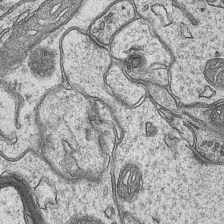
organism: Mouse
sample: CA1 Hippocampus